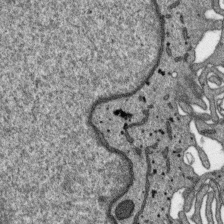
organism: Human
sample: Lung epithelial cells, uninfected (mock) control